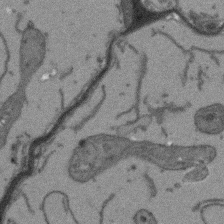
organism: Arabidopsis thaliana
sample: Root tip